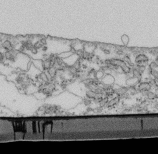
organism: Mouse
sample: Cilia; retinal pigment epithelium